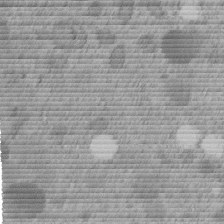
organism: C. elegans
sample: C. elegans embryo early stage